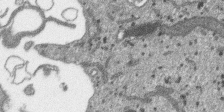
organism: Human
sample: Lung epithelial cells infected with SARS-CoV-2